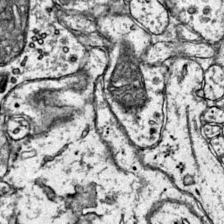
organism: Mouse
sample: Primary visual cortex